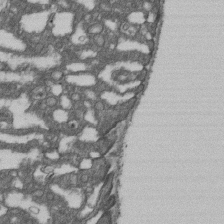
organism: Drosophila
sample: Nephrocyte